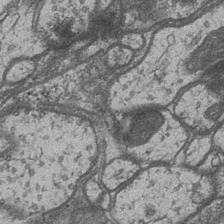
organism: Drosophila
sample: Optic medulla